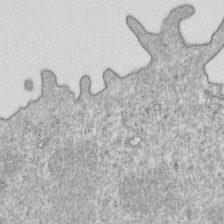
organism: Mouse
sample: Activated OT-1 CD8+ T cells